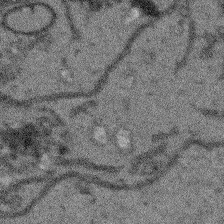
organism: Arabidopsis thaliana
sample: Root tip